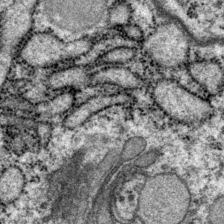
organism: P. pacificus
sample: Pharynx